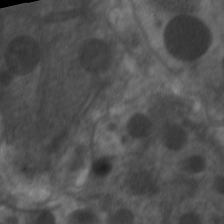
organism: C. elegans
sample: Pharynx